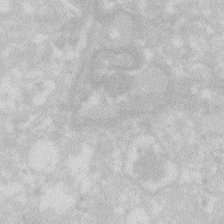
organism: Zebrafish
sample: Macrophage